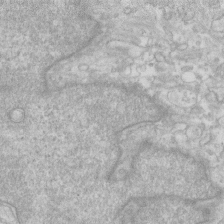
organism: Human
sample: Fibroblast cells